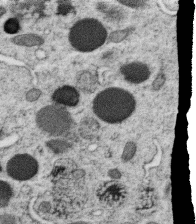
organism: C. elegans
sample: C. elegans oocyte; sperm cells